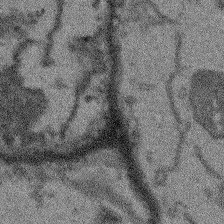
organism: Arabidopsis thaliana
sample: Root tip